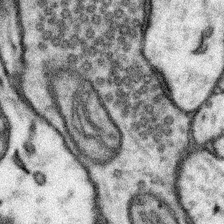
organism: Mouse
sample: Somatosensory cortex neuropil